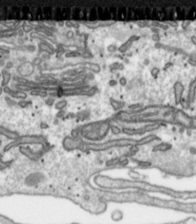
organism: Toxoplasma gondii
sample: Parasites in a vacuole inside a host cell